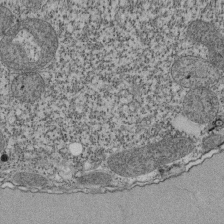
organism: Tetrahymena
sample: Cilia in tetrahymena